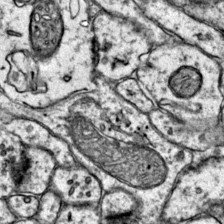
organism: Mouse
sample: Primary visual cortex